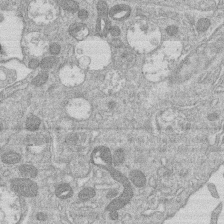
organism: Human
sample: Macrophage cells